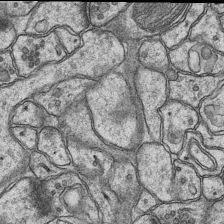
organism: Mouse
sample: CA1 Hippocampus